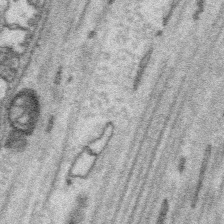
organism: Platynereis dumerilii